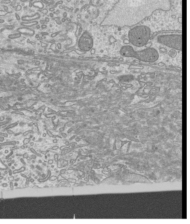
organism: Mouse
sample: Cilia; mouse epididymis